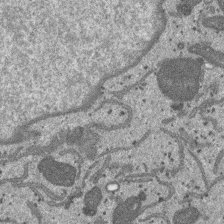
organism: Human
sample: Lung epithelial cells infected with SARS-CoV-2